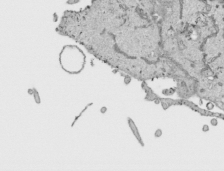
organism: Human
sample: Mitochondria in HCT116 cells